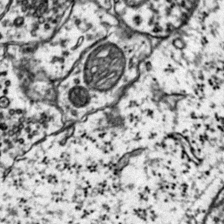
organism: Mouse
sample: Primary visual cortex